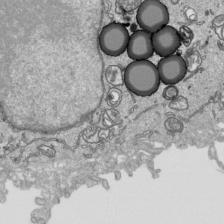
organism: Human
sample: Mitochondria in HCT116 cells